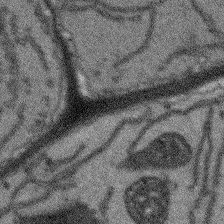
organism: Arabidopsis thaliana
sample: Root tip